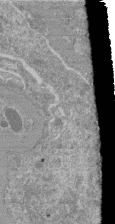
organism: Mouse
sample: Glomerulus